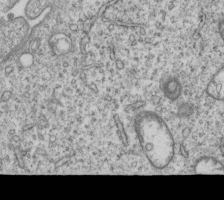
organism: Human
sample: MDA-MB-231 cells